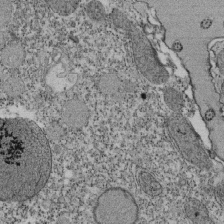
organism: Tetrahymena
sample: Cilia in tetrahymena